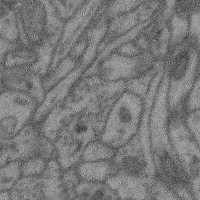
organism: Mouse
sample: Cerebral cortex